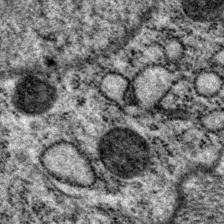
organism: P. pacificus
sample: Pharynx